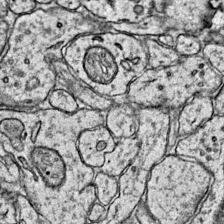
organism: Mouse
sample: Primary visual cortex